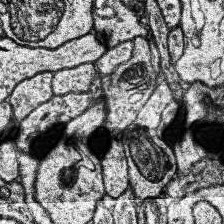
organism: Human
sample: Temporal Lobe